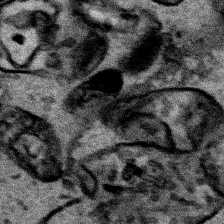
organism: Human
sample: Mitochondria in HCT116 cells